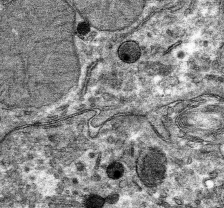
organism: Mouse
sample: Mouse hepatocytes